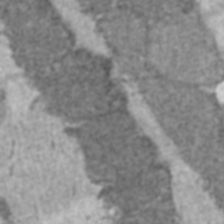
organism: C57BL Mouse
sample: Heart